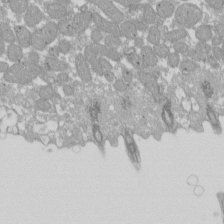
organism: Xenopus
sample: Cilia; centrioles in frog embryo cells